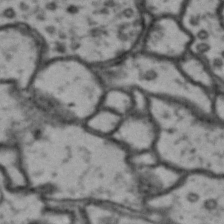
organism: Drosophila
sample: Brain